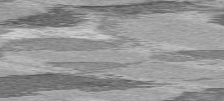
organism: C57BL Mouse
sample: Heart